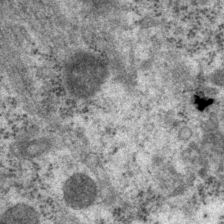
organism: P. pacificus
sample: Pharynx